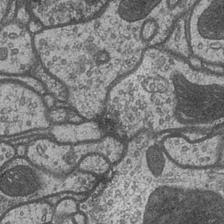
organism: Drosophila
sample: Optic medulla